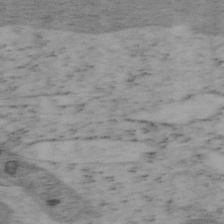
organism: Mouse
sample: OT-I killer T cells with ID8 ovarian cancer cells